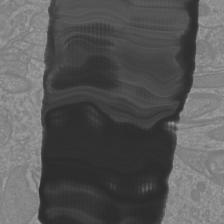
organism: Mouse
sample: Cortical neurons